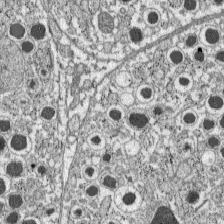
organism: C57BL Mouse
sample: Pancreatic islet